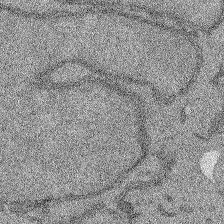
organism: Human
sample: HeLa cells